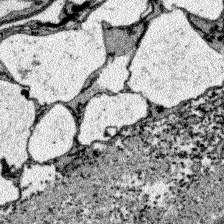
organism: Zebrafish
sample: Larval olfactory bulb